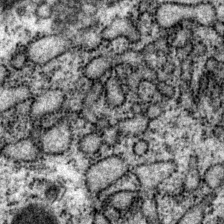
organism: P. pacificus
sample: Pharynx